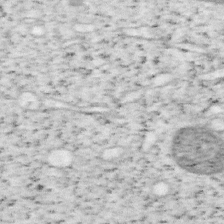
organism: Mouse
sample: OT-I killer T cells with ID8 ovarian cancer cells